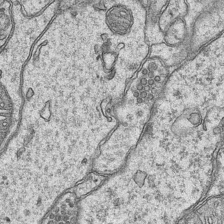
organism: Mouse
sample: CA1 Hippocampus